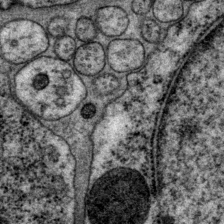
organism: P. pacificus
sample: Pharynx